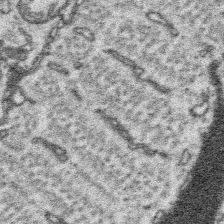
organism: Platynereis dumerilii